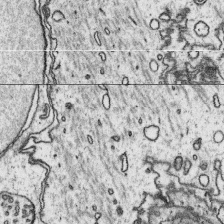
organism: Platynereis dumerilii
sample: Parapodia